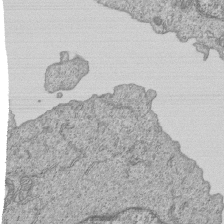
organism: Human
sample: MDA-MB-231 cells